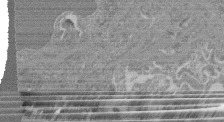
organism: Mouse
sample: Glomerulus